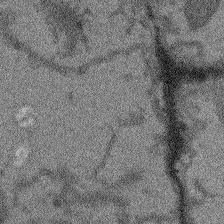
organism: Arabidopsis thaliana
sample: Root tip